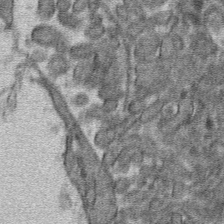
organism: Mouse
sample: Mouse hepatocytes